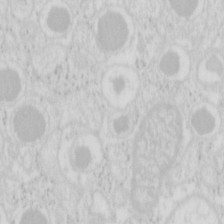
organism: Mouse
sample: Pancreas